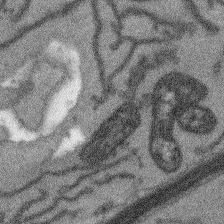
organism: Arabidopsis thaliana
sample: Root tip